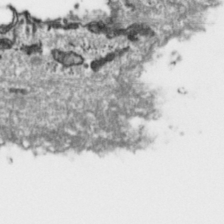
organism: Toxoplasma gondii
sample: Parasites in a vacuole inside a host cell